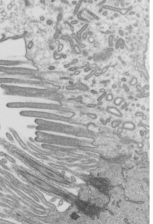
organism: Mouse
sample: Mouse epididymis efferent ductule cilia